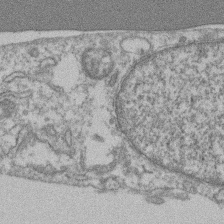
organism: Mouse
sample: T cell stromal cell synapse